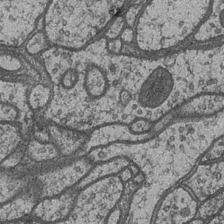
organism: Drosophila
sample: Optic medulla